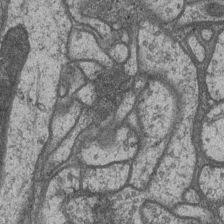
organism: Drosophila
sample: Optic medulla